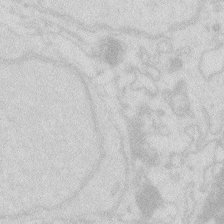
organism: Zebrafish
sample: Macrophage